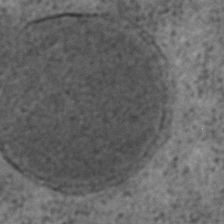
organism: C. elegans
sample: C. elegans embryo